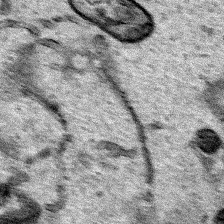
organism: Human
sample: Mitochondria in HCT116 cells